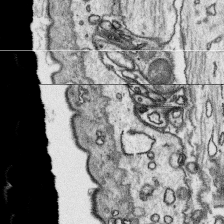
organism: Platynereis dumerilii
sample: Parapodia